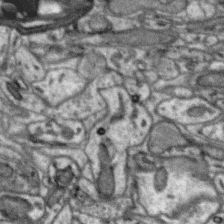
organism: Zebra finch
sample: Brain